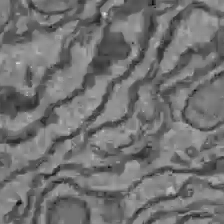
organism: C57BL Mouse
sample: Liver